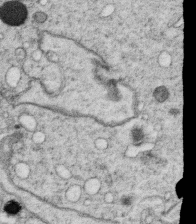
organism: C. elegans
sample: C. elegans oocyte; sperm cells